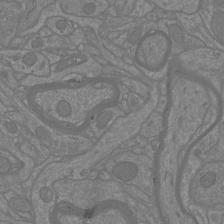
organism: Mouse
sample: Cortical neurons